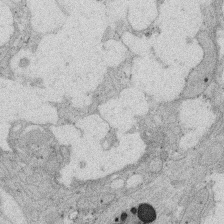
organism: Rat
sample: Salivary granule